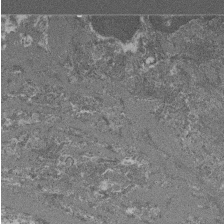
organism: Mouse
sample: Glomerulus